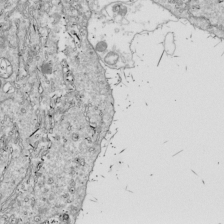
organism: Drosophila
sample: Cell division; meiosis; drosophila spermatocytes